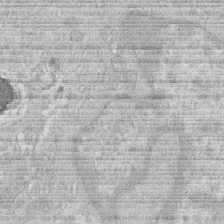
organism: Human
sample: Macrophage cells